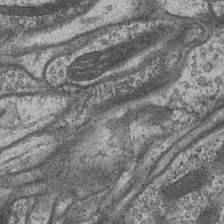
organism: Drosophila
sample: Optic medulla